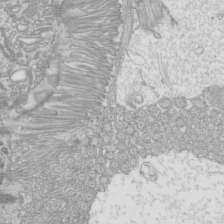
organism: Mouse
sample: Cilia; mouse epididymis